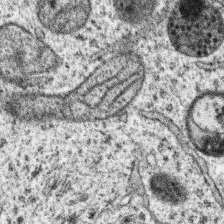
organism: Human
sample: HeLa cells